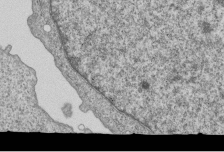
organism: Human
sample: MDA-MB-231 cells